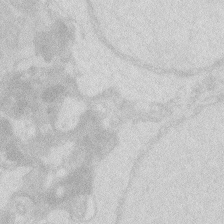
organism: Zebrafish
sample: Macrophage